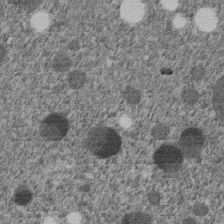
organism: C. elegans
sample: C. elegans embryo early stage